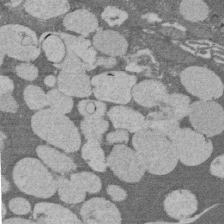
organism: Rat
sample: Salivary granule